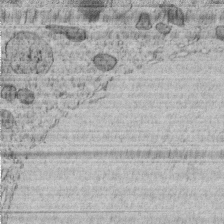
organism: C. elegans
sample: C. elegans embryo early stage